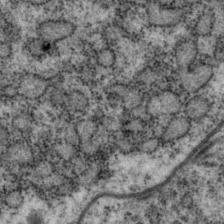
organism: P. pacificus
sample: Pharynx